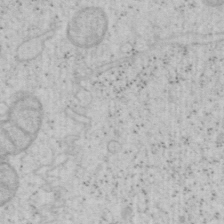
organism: Human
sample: HeLa cells